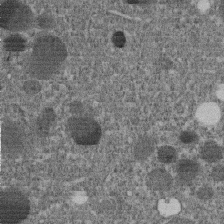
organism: C. elegans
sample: C. elegans embryo early stage